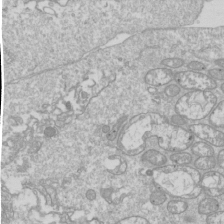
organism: Drosophila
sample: Cell division; meiosis; drosophila spermatocytes